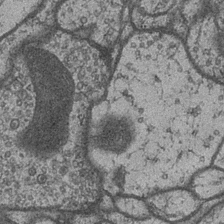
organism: Drosophila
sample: Optic medulla